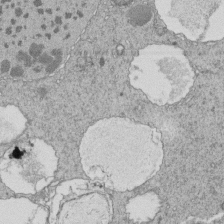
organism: Tetrahymena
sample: Cilia in tetrahymena